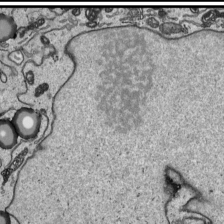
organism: Human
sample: Mitochondria in HCT116 cells